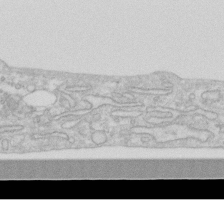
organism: Human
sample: Fibroblast cells